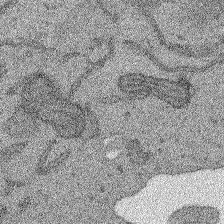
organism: Human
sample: HeLa cells